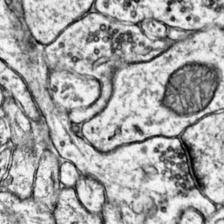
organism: Mouse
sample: Primary visual cortex